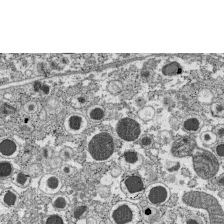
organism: C57BL Mouse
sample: Pancreatic islet